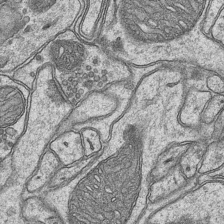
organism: Mouse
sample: CA1 Hippocampus